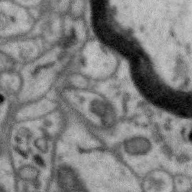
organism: Zebra finch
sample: Brain